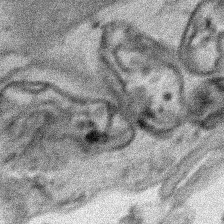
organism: Human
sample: Mitochondria in HCT116 cells